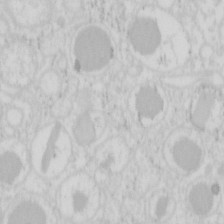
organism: Mouse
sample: Pancreas